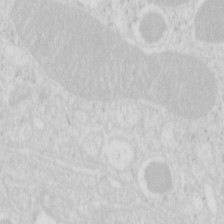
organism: Mouse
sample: Pancreas